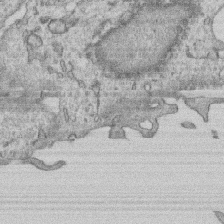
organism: Human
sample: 1205lu cells